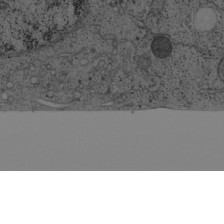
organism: African green monkey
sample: COS-7 cells